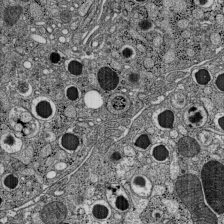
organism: C57BL Mouse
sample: Pancreatic islet